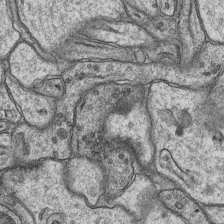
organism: Mouse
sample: CA1 Hippocampus